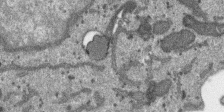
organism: Human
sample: Lung epithelial cells infected with SARS-CoV-2